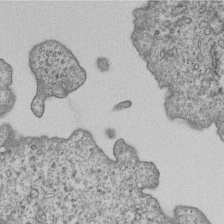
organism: Human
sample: MDA-MB-231 cells